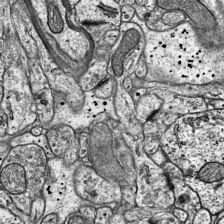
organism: Mouse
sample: Visual Cortex